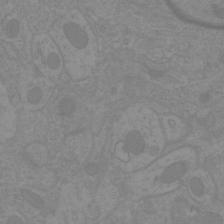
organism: Mouse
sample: Cortical neurons